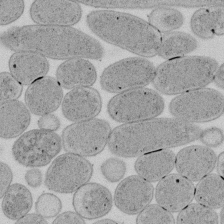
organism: E. coli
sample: Bacterial nucleoid